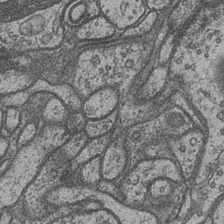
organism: Drosophila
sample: Optic medulla